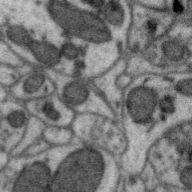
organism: Zebra finch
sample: Brain